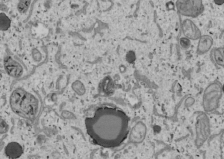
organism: Human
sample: Mitochondria in U2OS cells